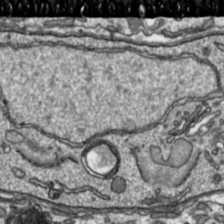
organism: Toxoplasma gondii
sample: Parasites in a vacuole inside a host cell